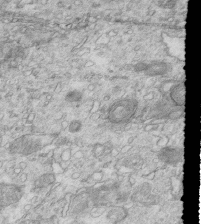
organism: Mouse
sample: Multiciliated cells